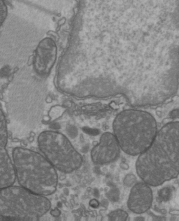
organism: C57BL Mouse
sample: Heart